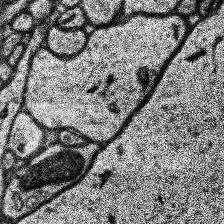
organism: Human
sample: Temporal Lobe